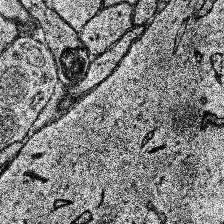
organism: Human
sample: Temporal Lobe